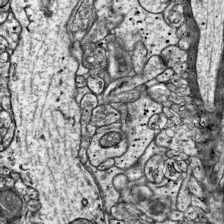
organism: Mouse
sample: Visual Cortex